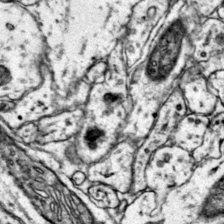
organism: Mouse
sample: Primary visual cortex